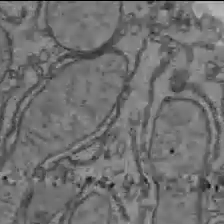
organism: C57BL Mouse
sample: Liver